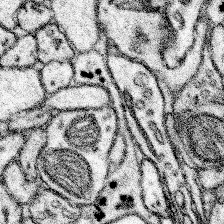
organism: Mouse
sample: Somatosensory cortex neuropil